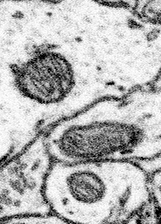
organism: Mouse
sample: Somatosensory cortex neuropil